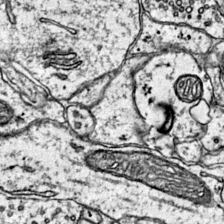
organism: Mouse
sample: Primary visual cortex